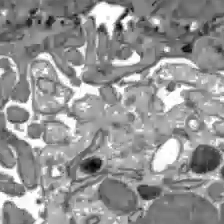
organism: C57BL Mouse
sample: Liver